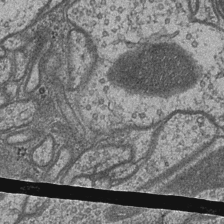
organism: Drosophila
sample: Optic medulla